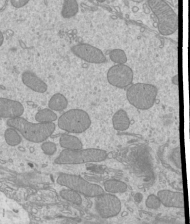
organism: Mouse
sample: Cilia; mouse epididymis